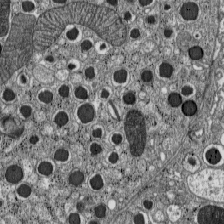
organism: C57BL Mouse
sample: Pancreatic islet